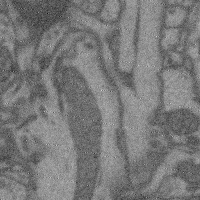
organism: Mouse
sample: Cerebral cortex